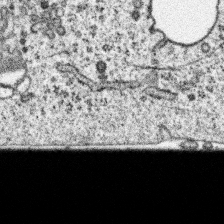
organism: Human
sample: HeLa cells